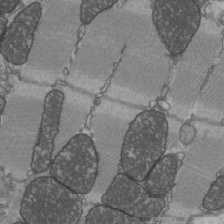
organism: C57BL Mouse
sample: Heart